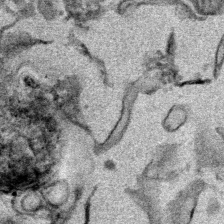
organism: Mouse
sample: Cancer cell death in ED-1 cells